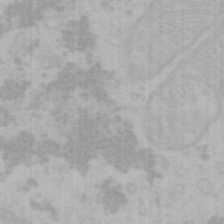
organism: Mouse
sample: Choroid plexus